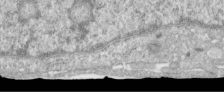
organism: Human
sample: Centriole in RPE cells